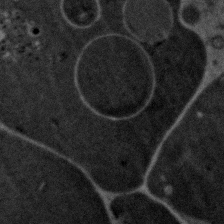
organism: Zebrafish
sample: Zebrafish embryo